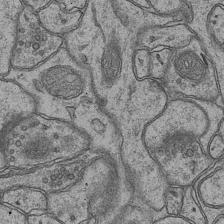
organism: Mouse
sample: CA1 Hippocampus